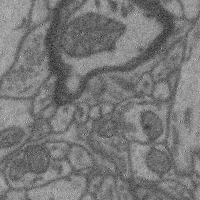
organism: Mouse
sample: Cerebral cortex